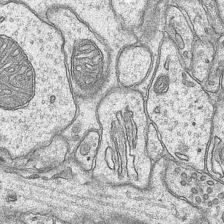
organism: Mouse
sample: CA1 Hippocampus